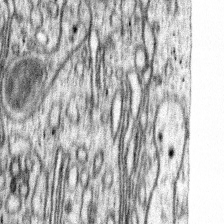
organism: Human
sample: HeLa cells